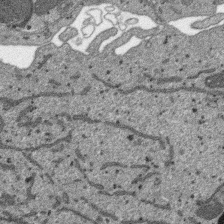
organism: Human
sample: Lung epithelial cells infected with SARS-CoV-2